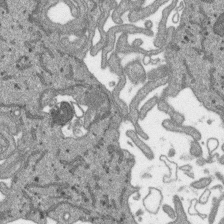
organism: Human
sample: Lung epithelial cells infected with SARS-CoV-2